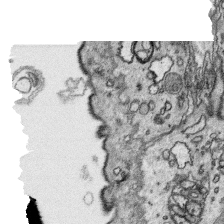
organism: Platynereis dumerilii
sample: Parapodia